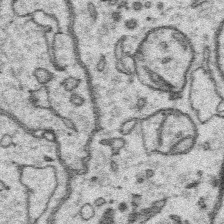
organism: Platynereis dumerilii